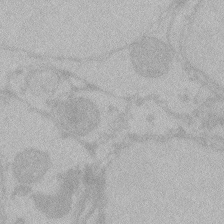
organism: Zebrafish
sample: Macrophage infected with Toxoplasma gondii